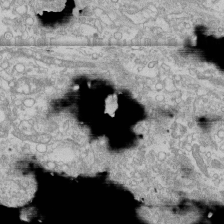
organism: Human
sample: CRL-1474